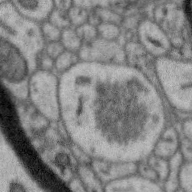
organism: Zebra finch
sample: Brain